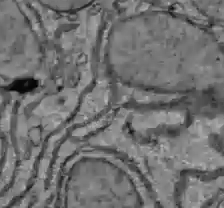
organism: C57BL Mouse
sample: Liver